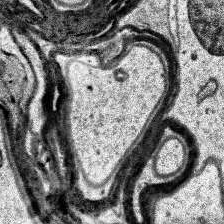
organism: Human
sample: Temporal Lobe